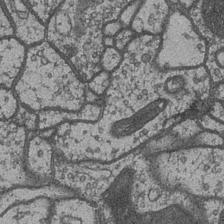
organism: Drosophila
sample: Optic medulla